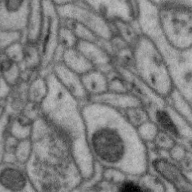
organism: Zebra finch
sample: Brain